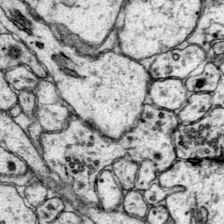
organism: Mouse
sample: Primary visual cortex